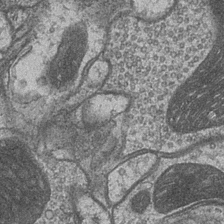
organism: Drosophila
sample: Optic medulla